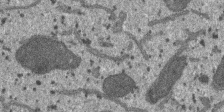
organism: Human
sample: Lung epithelial cells infected with SARS-CoV-2